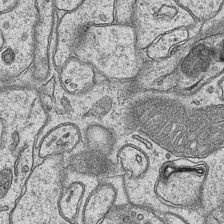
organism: Mouse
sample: CA1 Hippocampus